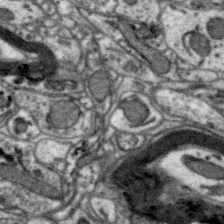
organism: Zebra finch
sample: Brain